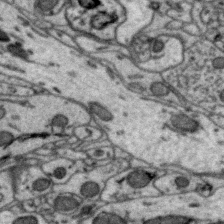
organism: Zebra finch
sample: Brain